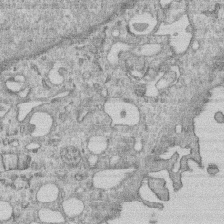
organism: Human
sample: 1205lu cells